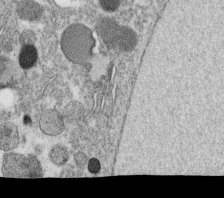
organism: C. elegans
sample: C. elegans oocyte; sperm cells